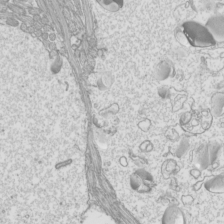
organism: Mouse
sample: Cilia; mouse epididymis